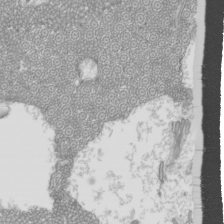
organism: Mouse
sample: Cilia; mouse epididymis